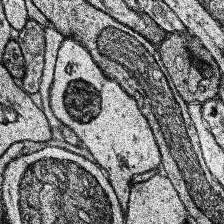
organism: Human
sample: Temporal Lobe